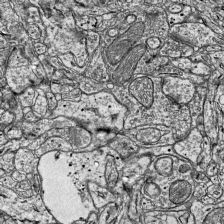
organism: Mouse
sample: Visual Cortex